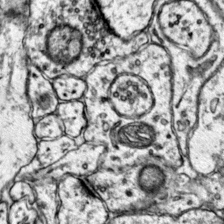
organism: Mouse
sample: Primary visual cortex